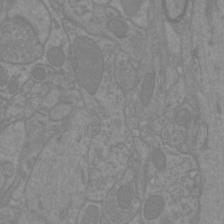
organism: Mouse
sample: Cortical neurons